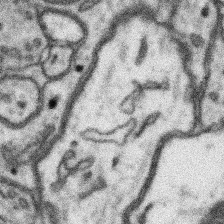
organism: Mouse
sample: Somatosensory cortex neuropil